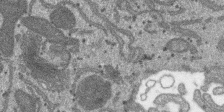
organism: Human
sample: Lung epithelial cells infected with SARS-CoV-2